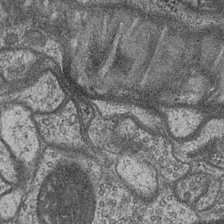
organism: Drosophila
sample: Optic medulla